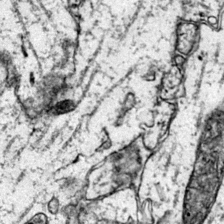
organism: Mouse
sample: Primary visual cortex